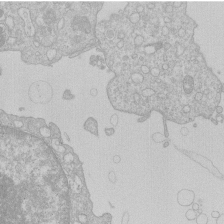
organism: Human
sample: Macrophage cells